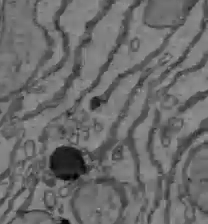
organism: C57BL Mouse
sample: Liver